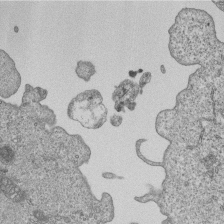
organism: Human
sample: MDA-MB-231 cells